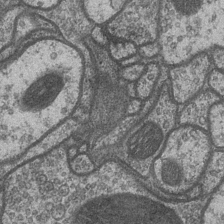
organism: Drosophila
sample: Optic medulla